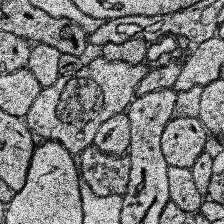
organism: Human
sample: Temporal Lobe